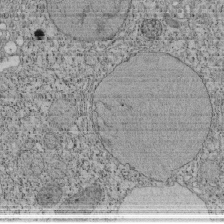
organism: Tetrahymena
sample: Cilia in tetrahymena